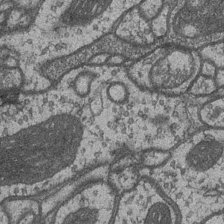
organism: Drosophila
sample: Optic medulla